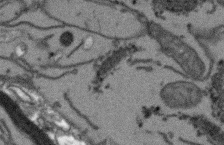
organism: Arabidopsis thaliana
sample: Root tip